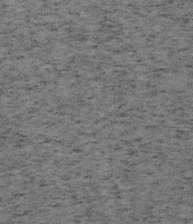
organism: Mouse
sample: OT-I killer T cells with ID8 ovarian cancer cells